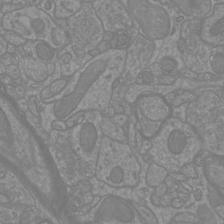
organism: Mouse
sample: Cortical neurons